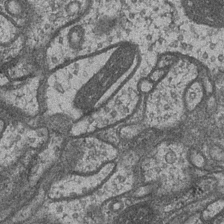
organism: Drosophila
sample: Optic medulla